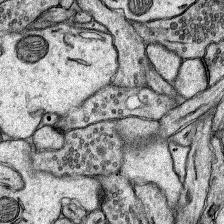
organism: Rat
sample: Hippocampus